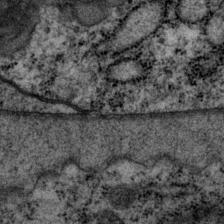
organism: P. pacificus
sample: Pharynx